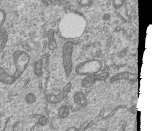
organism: Human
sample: MDA-MB-231 cells